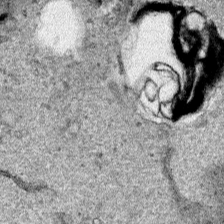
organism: Human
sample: Mitochondria in HCT116 cells